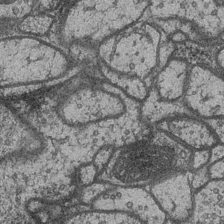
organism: Drosophila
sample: Optic medulla